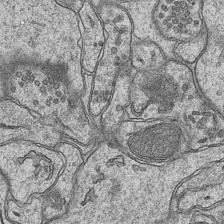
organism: Mouse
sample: CA1 Hippocampus